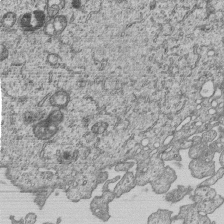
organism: Human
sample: MDA-MB-231 cells